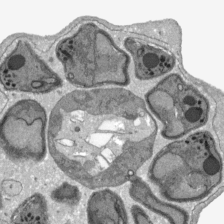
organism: Plasmodium falciparum